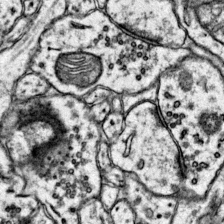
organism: Mouse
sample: Primary visual cortex